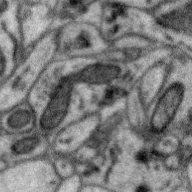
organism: Zebra finch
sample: Brain